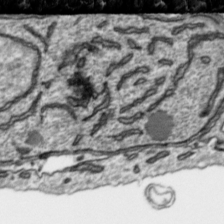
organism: Toxoplasma gondii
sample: Parasites in a vacuole inside a host cell